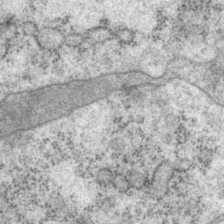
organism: P. pacificus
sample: Pharynx